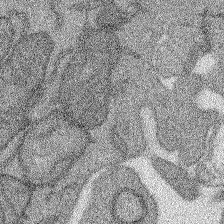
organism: Human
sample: HeLa cells